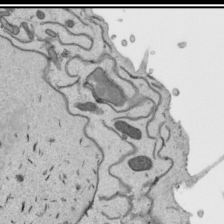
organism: Human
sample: Mitochondria in HCT116 cells